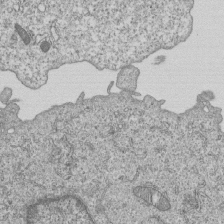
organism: Human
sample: MDA-MB-231 cells